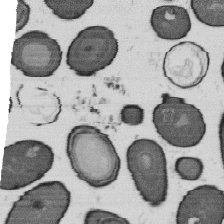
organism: B. subtilis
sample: Bacterial spore